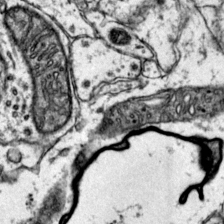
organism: Mouse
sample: Primary visual cortex